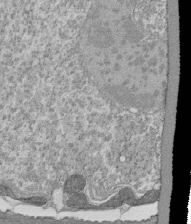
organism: Tetrahymena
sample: Cilia in tetrahymena